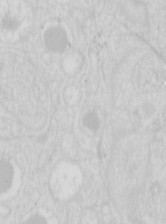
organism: Mouse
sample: Pancreas